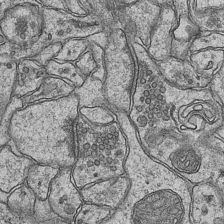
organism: Mouse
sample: CA1 Hippocampus